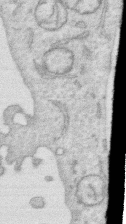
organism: Human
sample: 1205lu cells